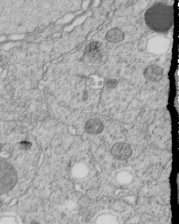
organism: C. elegans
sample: C. elegans embryo early stage